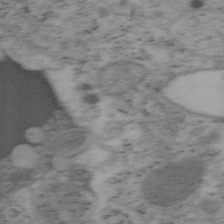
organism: Mouse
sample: OT-I killer T cells with ID8 ovarian cancer cells